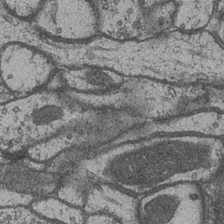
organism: Drosophila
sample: Optic medulla